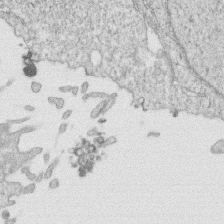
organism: Human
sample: HeLa cell HIV synapse